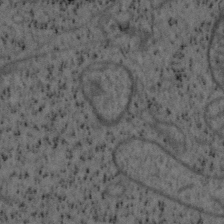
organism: Human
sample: HeLa cells